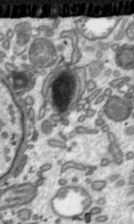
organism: Toxoplasma gondii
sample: Parasites in a vacuole inside a host cell